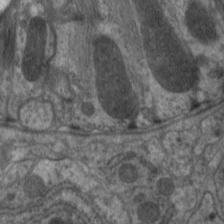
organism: C. elegans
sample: Pharynx